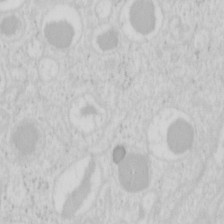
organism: Mouse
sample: Pancreas